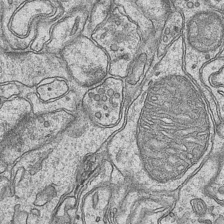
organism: Mouse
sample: CA1 Hippocampus